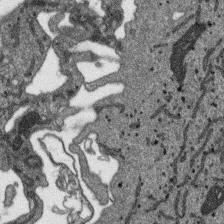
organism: Human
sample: Lung epithelial cells infected with SARS-CoV-2